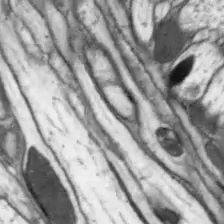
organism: Drosophila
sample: Optic lobe